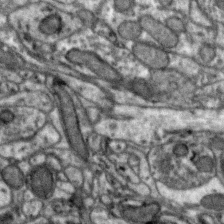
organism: Zebra finch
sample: Brain